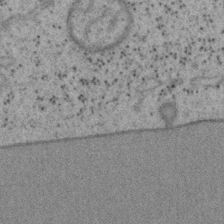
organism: Human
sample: HeLa cells